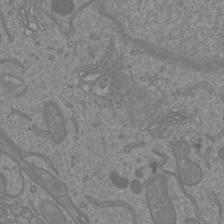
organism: Mouse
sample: Cortical neurons